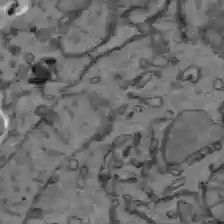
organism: C57BL Mouse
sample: Liver